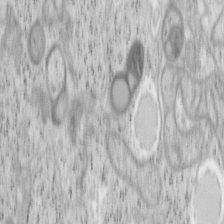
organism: Human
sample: HeLa cells